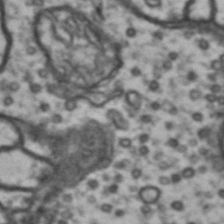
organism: Drosophila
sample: Brain